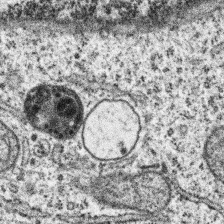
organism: Human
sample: HeLa cells